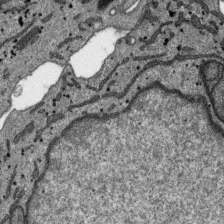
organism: Human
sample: Lung epithelial cells, uninfected (mock) control